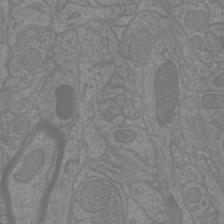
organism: Mouse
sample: Cortical neurons